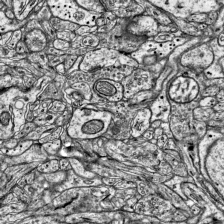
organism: Mouse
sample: Visual Cortex